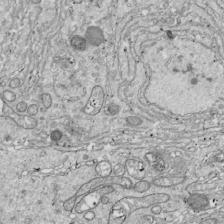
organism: Drosophila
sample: Cell division; meiosis; drosophila spermatocytes